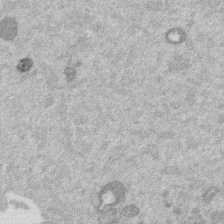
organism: Mouse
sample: Dividing mouse embryo 1 cell stage